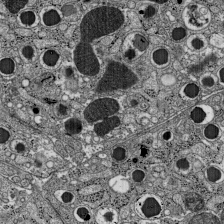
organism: C57BL Mouse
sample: Pancreatic islet